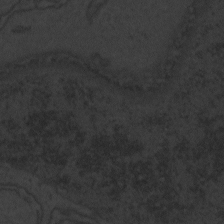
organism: Zebrafish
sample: Macrophage infected with Toxoplasma gondii